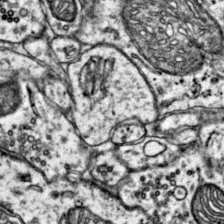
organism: Mouse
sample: Primary visual cortex